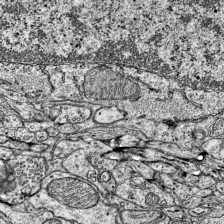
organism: Mouse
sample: Visual Cortex